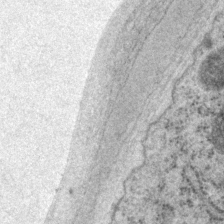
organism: P. pacificus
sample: Pharynx